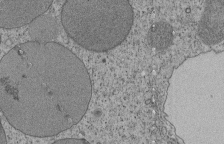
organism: Tetrahymena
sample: Cilia in tetrahymena